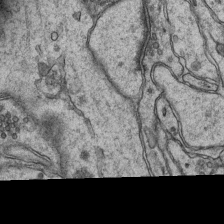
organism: Mouse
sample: CA1 Hippocampus